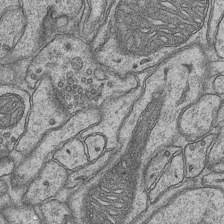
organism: Mouse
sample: CA1 Hippocampus